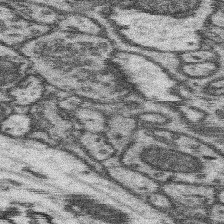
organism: Mouse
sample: Somatosensory cortex neuropil